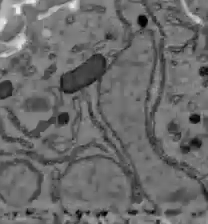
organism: C57BL Mouse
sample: Liver